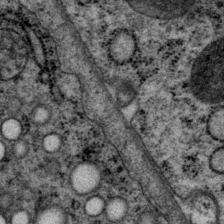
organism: P. pacificus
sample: Pharynx